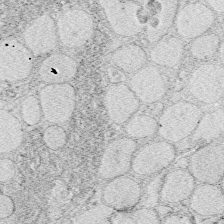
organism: Zebrafish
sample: Whole-Brain